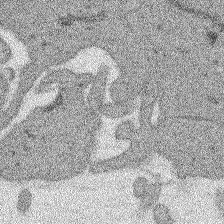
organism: Human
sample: HeLa cells